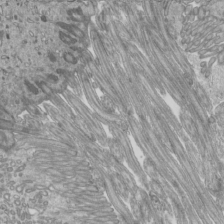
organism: Mouse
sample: Cilia; mouse epididymis